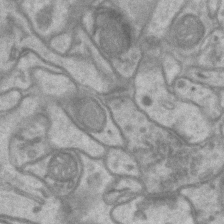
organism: Mouse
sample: CA1 Hippocampus